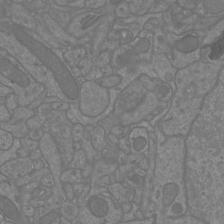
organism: Mouse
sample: Cortical neurons